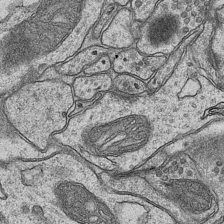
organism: Mouse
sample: CA1 Hippocampus